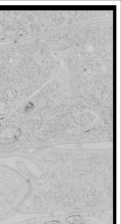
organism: Human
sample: Mitochondria in HCT116 cells